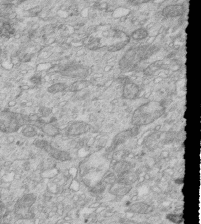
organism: Mouse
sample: Multiciliated cells